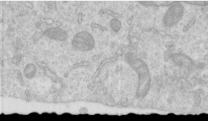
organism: Human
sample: Centriole in RPE cells